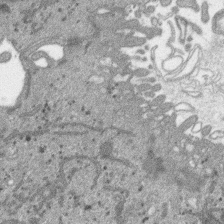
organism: Human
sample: Lung epithelial cells infected with SARS-CoV-2